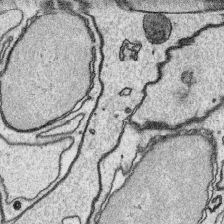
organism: Platynereis dumerilii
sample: Parapodia